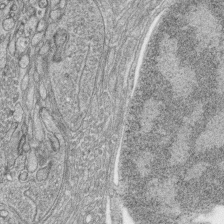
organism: Zebrafish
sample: synaptic ribbons in rod cells and cone cells